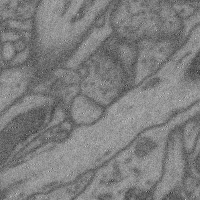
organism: Mouse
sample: Cerebral cortex